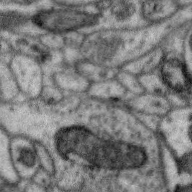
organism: Zebra finch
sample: Brain